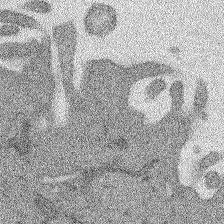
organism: Human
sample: HeLa cells